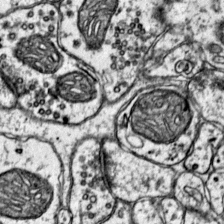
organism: Mouse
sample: Primary visual cortex